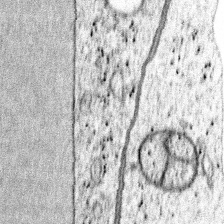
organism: Human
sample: HeLa cells